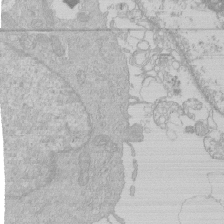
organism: Human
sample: Macrophage cells